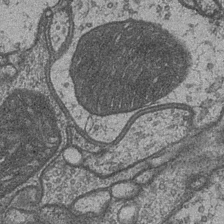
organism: Drosophila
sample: Optic medulla